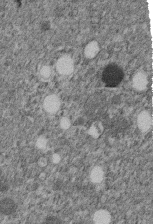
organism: C. elegans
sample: C. elegans embryo early stage